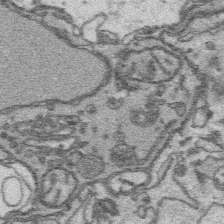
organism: Platynereis dumerilii